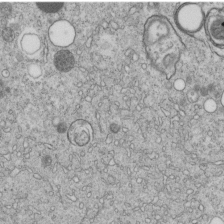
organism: C. elegans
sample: C. elegans embryo early stage